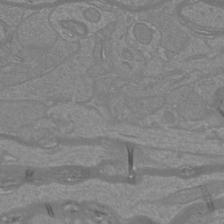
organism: Mouse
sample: Cortical neurons